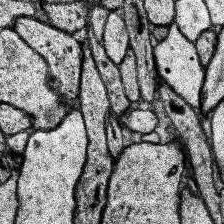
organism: Human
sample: Temporal Lobe